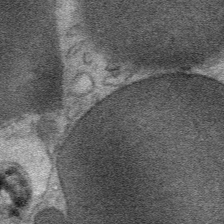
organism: Mouse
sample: Mouse Salivary gland